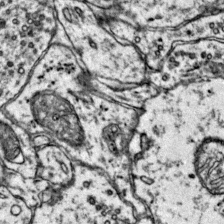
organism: Mouse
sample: Primary visual cortex